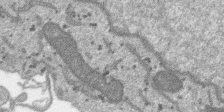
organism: Human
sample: Lung epithelial cells infected with SARS-CoV-2